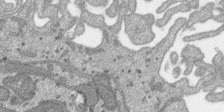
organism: Human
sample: Lung epithelial cells infected with SARS-CoV-2